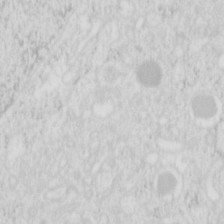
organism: Mouse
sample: Pancreas